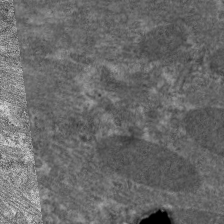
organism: C. elegans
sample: Pharynx